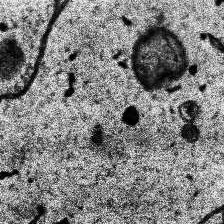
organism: Human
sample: Temporal Lobe